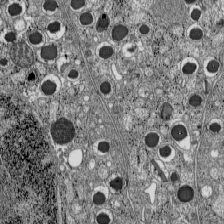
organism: C57BL Mouse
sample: Pancreatic islet